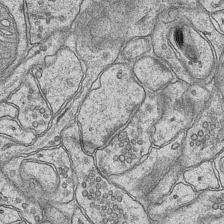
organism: Mouse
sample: CA1 Hippocampus